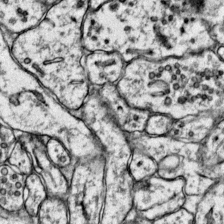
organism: Mouse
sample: Primary visual cortex